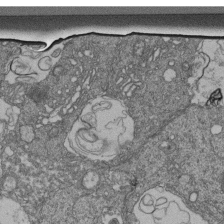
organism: Human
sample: Retinal organoid Rod and Cone cells